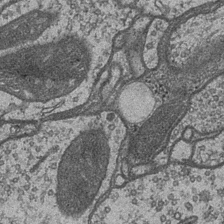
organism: Drosophila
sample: Optic medulla